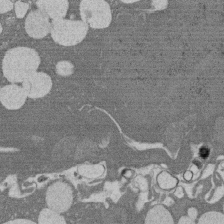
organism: Rat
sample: Salivary granule